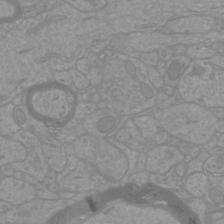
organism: Mouse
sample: Cortical neurons